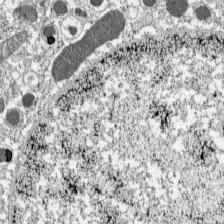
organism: C57BL Mouse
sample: Pancreatic islet